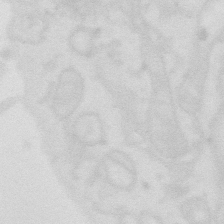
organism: Human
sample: HeLa cells